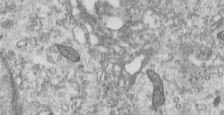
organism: Human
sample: Centriole in RPE cells